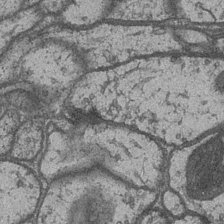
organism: Drosophila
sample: Optic medulla